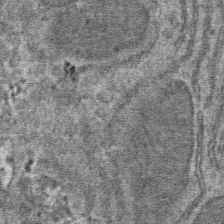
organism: Mouse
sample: Mouse hepatocytes